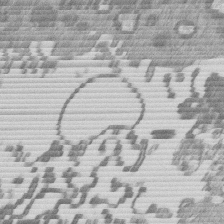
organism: Mouse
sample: Dividing mouse embryo 1 cell stage